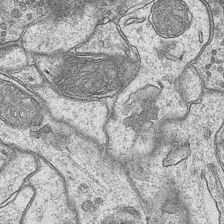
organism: Mouse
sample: CA1 Hippocampus